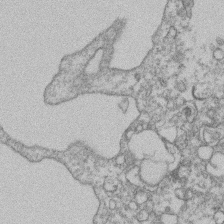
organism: Mouse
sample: T cell stromal cell synapse